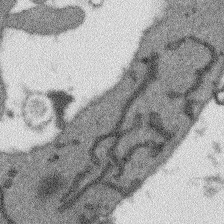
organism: Arabidopsis thaliana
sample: Root tip